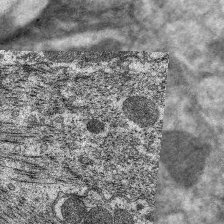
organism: C. elegans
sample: Pharynx